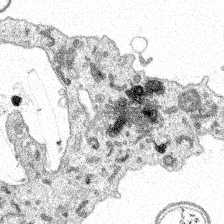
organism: Spongilla lacustris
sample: Multiple